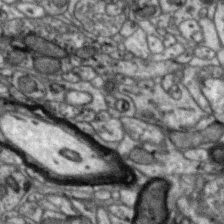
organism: Zebra finch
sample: Brain